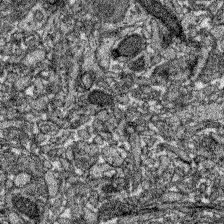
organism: Zebrafish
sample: Larval olfactory bulb